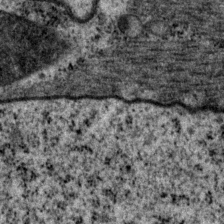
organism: P. pacificus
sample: Pharynx